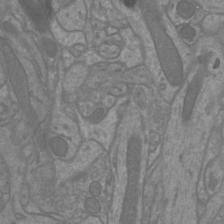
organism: Mouse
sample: Cortical neurons